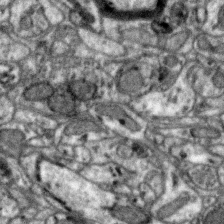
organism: Zebra finch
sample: Brain